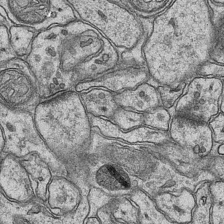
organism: Mouse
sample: CA1 Hippocampus